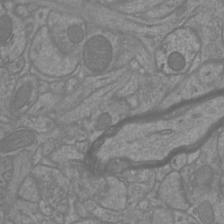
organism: Mouse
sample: Cortical neurons